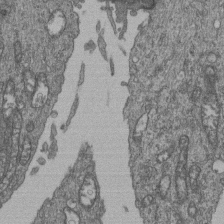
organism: Human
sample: Retinal organoid Rod and Cone cells